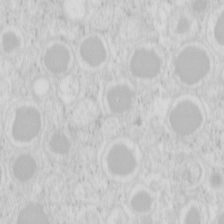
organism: Mouse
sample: Pancreas